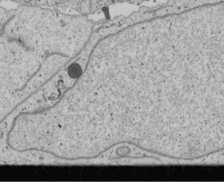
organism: Human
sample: Mitochondria in U2OS cells